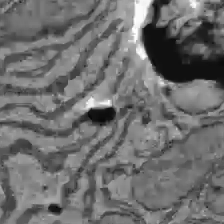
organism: C57BL Mouse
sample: Liver